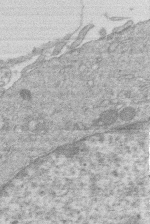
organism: Human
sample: Macrophage cells